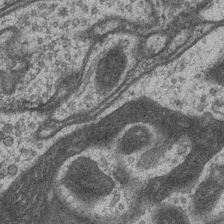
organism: Drosophila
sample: Optic medulla